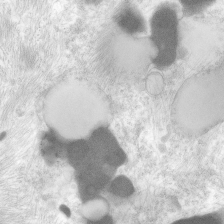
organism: Human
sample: Neocortex